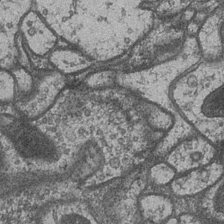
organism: Drosophila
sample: Optic medulla